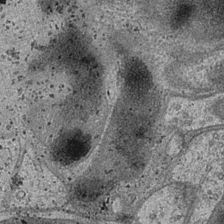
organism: Drosophila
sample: Optic medulla